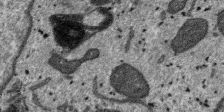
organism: Human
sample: Lung epithelial cells, uninfected (mock) control